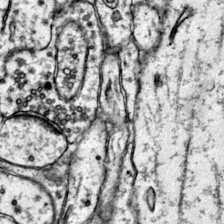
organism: Mouse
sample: Primary visual cortex